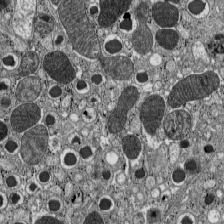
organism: C57BL Mouse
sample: Pancreatic islet